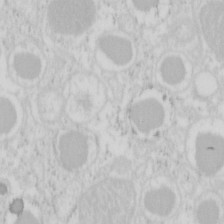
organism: Mouse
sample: Pancreas